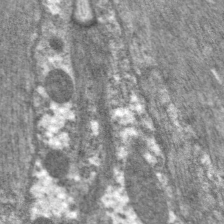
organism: C. elegans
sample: Pharynx